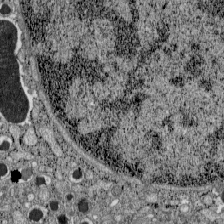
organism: C57BL Mouse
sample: Pancreatic islet